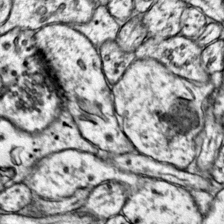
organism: Mouse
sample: Primary visual cortex